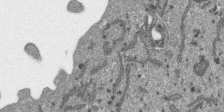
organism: Human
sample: Lung epithelial cells infected with SARS-CoV-2